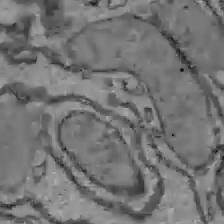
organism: C57BL Mouse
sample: Liver